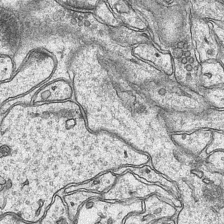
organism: Mouse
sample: CA1 Hippocampus